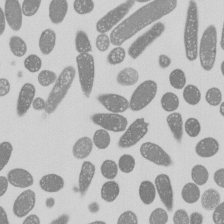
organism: E. coli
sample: Bacterial nucleoid